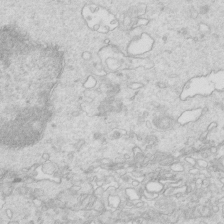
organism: Mouse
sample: Multiciliated cells